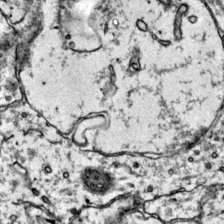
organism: Mouse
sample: Primary visual cortex